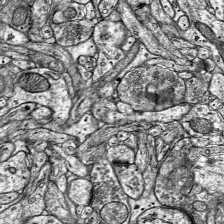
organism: Mouse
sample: Visual Cortex